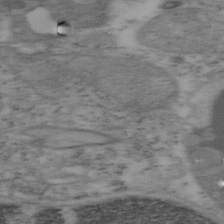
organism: Mouse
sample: OT-I killer T cells with ID8 ovarian cancer cells